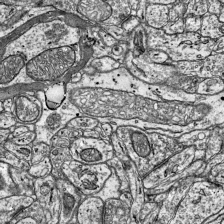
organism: Mouse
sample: Visual Cortex